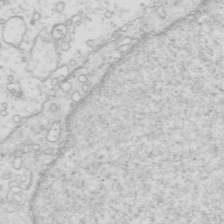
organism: Mouse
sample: Multiciliated cells